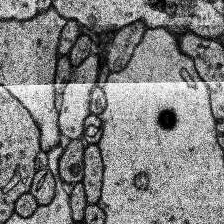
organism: Human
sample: Temporal Lobe